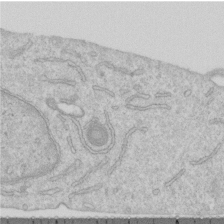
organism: Human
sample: Centriole in RPE cells